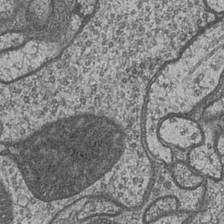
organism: Drosophila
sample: Optic medulla